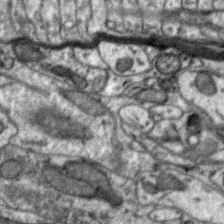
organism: Zebra finch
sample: Brain